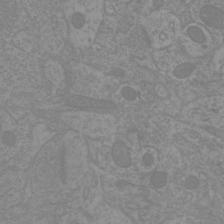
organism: Mouse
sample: Cortical neurons